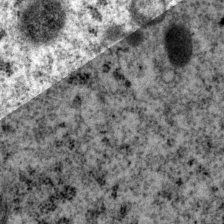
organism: P. pacificus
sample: Pharynx